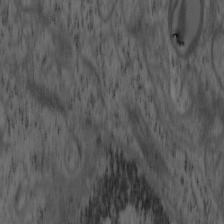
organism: Human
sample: HeLa cells